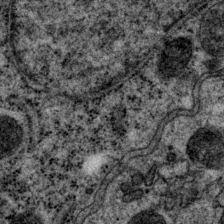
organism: P. pacificus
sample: Pharynx